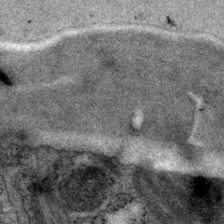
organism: P. pacificus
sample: Pharynx